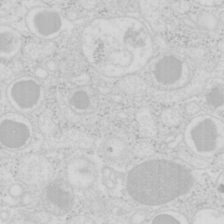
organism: Mouse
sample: Pancreas